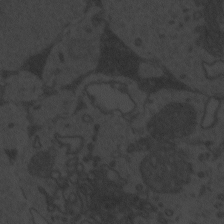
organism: Zebrafish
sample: Macrophage infected with Toxoplasma gondii